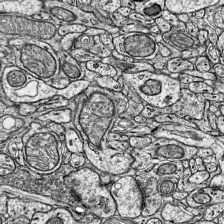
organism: Mouse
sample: Visual Cortex